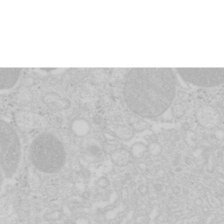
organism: Mouse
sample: Pancreas